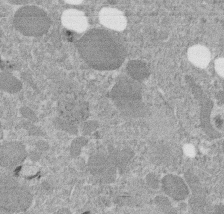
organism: C. elegans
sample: C. elegans embryo early stage